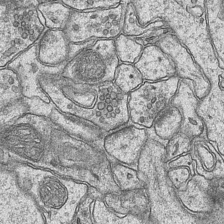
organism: Mouse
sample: CA1 Hippocampus